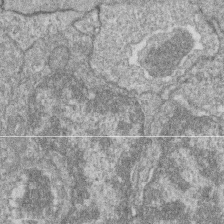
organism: Zebrafish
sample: Cilia; retinal pigment epithelium